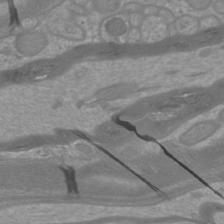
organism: Mouse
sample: Cortical neurons